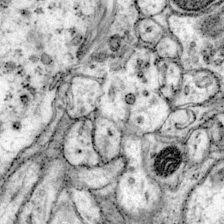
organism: Mouse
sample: Primary visual cortex